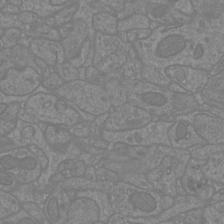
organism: Mouse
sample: Cortical neurons